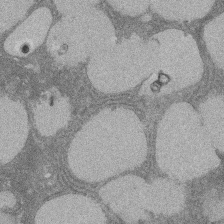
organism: Rat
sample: Salivary granule